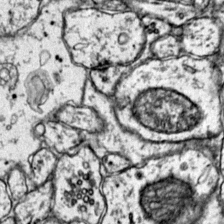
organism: Mouse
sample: Primary visual cortex